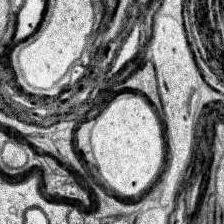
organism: Human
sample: Temporal Lobe